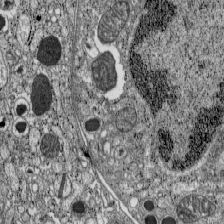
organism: C57BL Mouse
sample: Pancreatic islet